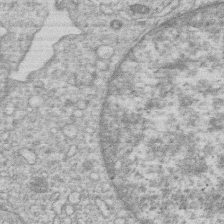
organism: Human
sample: Macrophage cells